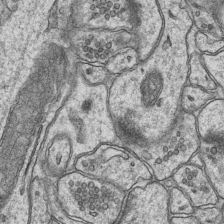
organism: Mouse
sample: CA1 Hippocampus